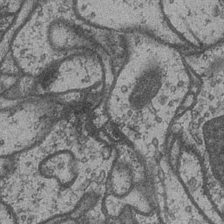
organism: Drosophila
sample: Optic medulla